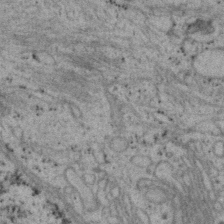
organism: Human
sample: HeLa cells